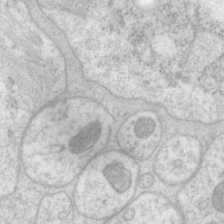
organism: P. pacificus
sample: Pharynx